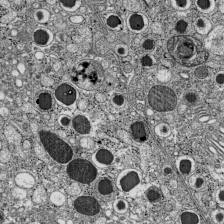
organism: C57BL Mouse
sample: Pancreatic islet